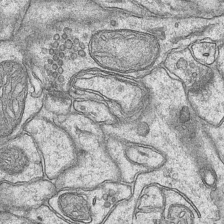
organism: Mouse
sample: CA1 Hippocampus